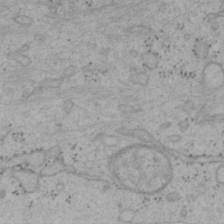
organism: Human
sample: HeLa cells